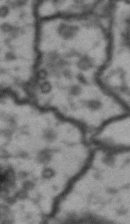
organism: Drosophila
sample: Brain